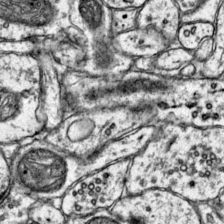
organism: Mouse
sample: Primary visual cortex